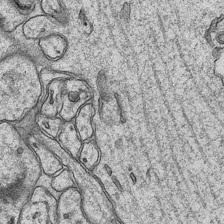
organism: Mouse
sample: CA1 Hippocampus